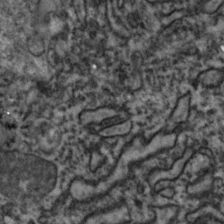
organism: Zebrafish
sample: Zebrafish embryo